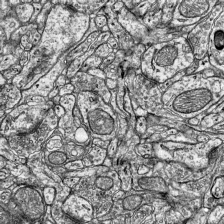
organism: Mouse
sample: Visual Cortex